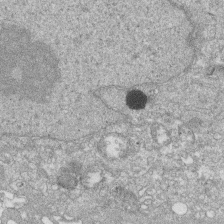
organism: Human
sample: HeLa cell HIV synapse